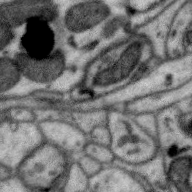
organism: Zebra finch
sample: Brain